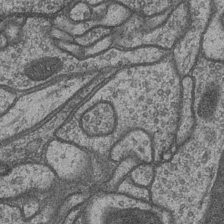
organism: Drosophila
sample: Optic medulla